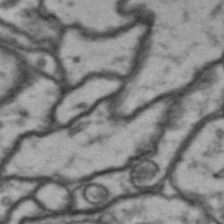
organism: Drosophila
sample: Brain